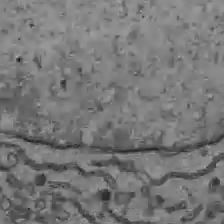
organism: C57BL Mouse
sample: Liver